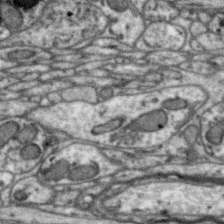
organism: Zebra finch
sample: Brain